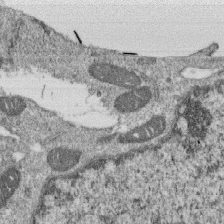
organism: African green monkey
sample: Vero E6 cells infected with SARS-CoV-2